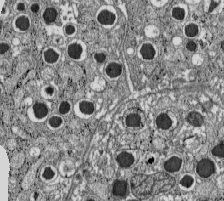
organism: C57BL Mouse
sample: Pancreatic islet